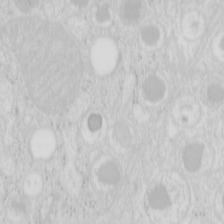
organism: Mouse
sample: Pancreas